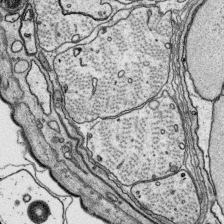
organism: Platynereis dumerilii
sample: Parapodia